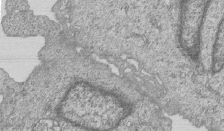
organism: Human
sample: MDA-MB-231 cells